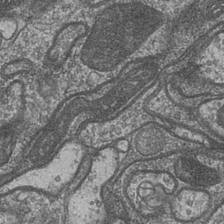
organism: Drosophila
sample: Optic medulla